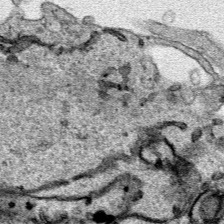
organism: Human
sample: Mitochondria in HCT116 cells